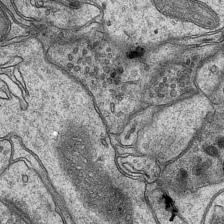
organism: Mouse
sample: CA1 Hippocampus